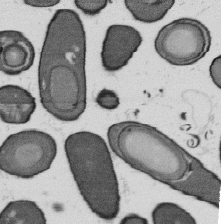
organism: B. subtilis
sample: Bacterial spore